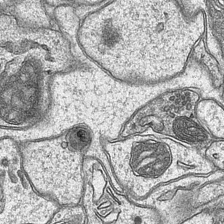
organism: Mouse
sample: CA1 Hippocampus